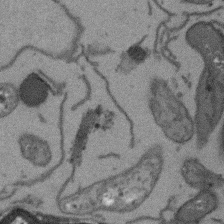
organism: Arabidopsis thaliana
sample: Root tip